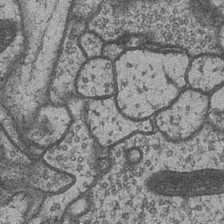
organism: Drosophila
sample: Optic medulla